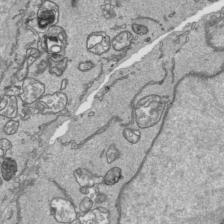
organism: Human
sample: Mitochondria in HCT116 cells